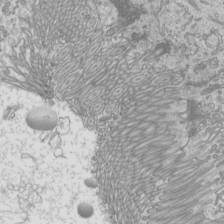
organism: Mouse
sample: Cilia; mouse epididymis